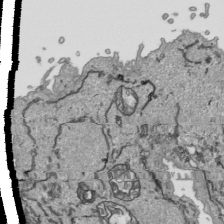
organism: Human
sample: Mitochondria in HCT116 cells